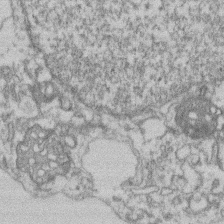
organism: Mouse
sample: T cell stromal cell synapse